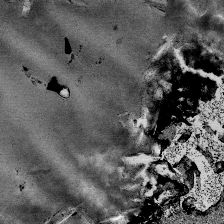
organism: Mouse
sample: Mouse Salivary gland